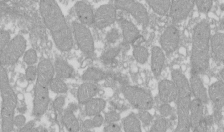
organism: Xenopus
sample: Cilia; centrioles in frog embryo cells